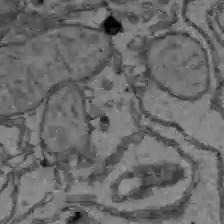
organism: C57BL Mouse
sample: Liver